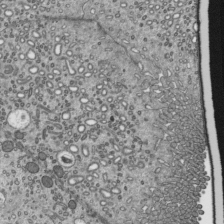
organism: Mouse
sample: Mouse epididymis efferent ductule cilia